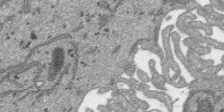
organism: Human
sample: Lung epithelial cells infected with SARS-CoV-2